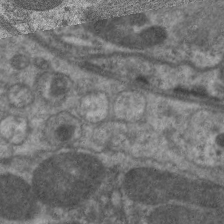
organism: C. elegans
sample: Pharynx